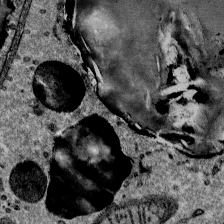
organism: Mouse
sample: Mouse Salivary gland